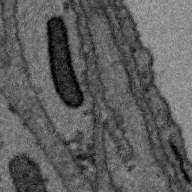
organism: Zebra finch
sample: Brain